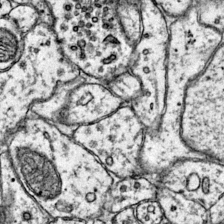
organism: Mouse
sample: Primary visual cortex